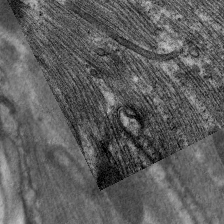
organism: C. elegans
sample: Pharynx